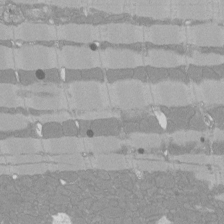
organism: Rat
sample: Left ventricle